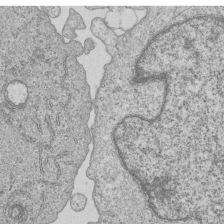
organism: Human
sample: MDA-MB-231 cells